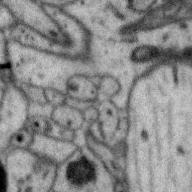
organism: Zebra finch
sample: Brain